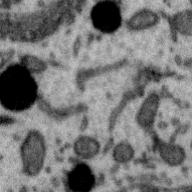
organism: Zebra finch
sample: Brain